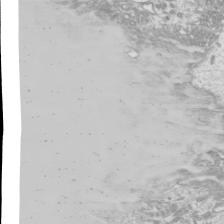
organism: Mouse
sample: Cilia; mouse epididymis